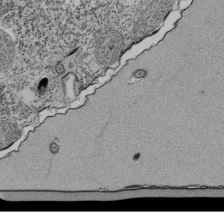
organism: Tetrahymena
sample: Cilia in tetrahymena